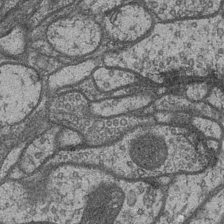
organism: Drosophila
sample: Optic medulla